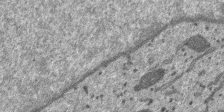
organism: Human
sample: Lung epithelial cells infected with SARS-CoV-2